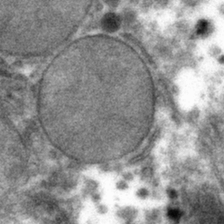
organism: Mouse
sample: Mouse hepatocytes